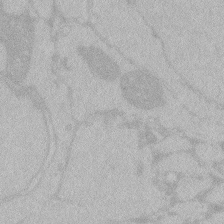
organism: Zebrafish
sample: Macrophage infected with Toxoplasma gondii